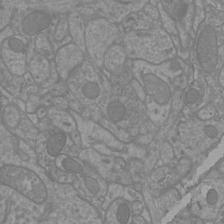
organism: Mouse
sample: Cortical neurons